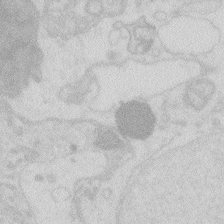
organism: Zebrafish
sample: Macrophage